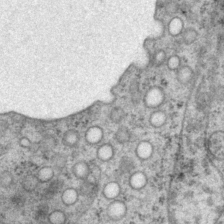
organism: P. pacificus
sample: Pharynx